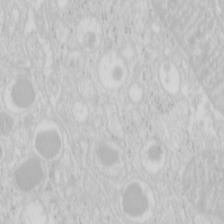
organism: Mouse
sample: Pancreas